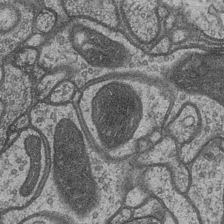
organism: Drosophila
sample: Optic medulla